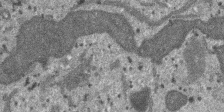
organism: Human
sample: Lung epithelial cells infected with SARS-CoV-2